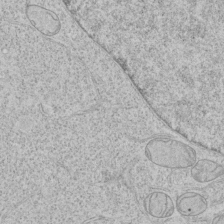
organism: Human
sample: Mitochondria in HCT116 cells